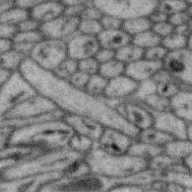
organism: Zebra finch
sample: Brain